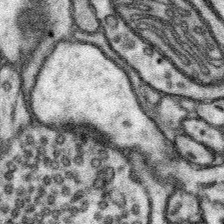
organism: Mouse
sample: Somatosensory cortex neuropil